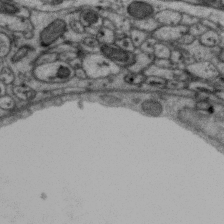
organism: Zebra finch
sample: Brain